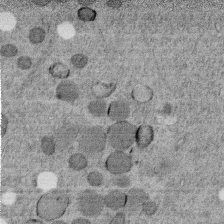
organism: C. elegans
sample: C. elegans embryo early stage